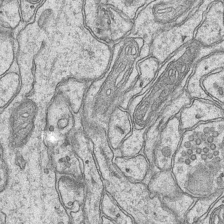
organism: Mouse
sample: CA1 Hippocampus